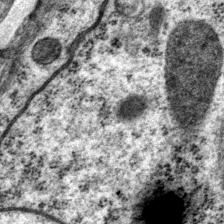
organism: P. pacificus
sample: Pharynx